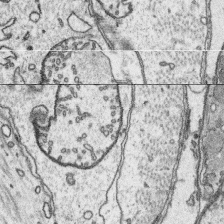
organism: Platynereis dumerilii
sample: Parapodia